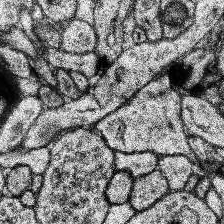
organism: Human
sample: Temporal Lobe